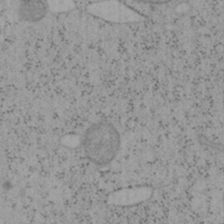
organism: Mouse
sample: OT-I killer T cells with ID8 ovarian cancer cells